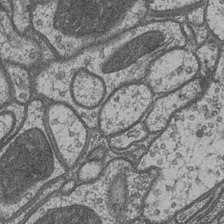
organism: Drosophila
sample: Optic medulla